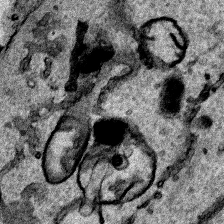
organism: Human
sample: Mitochondria in HCT116 cells